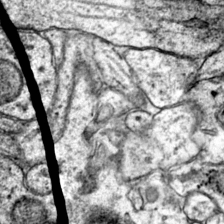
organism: Mouse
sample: Primary visual cortex